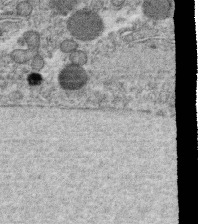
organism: C. elegans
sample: C. elegans oocyte; sperm cells